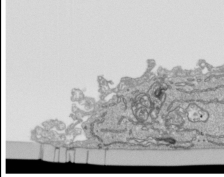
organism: Human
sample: Mitochondria in HCT116 cells